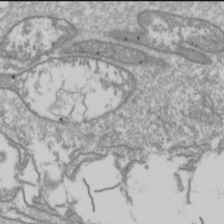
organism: Drosophila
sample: Cell division; meiosis; drosophila spermatocytes